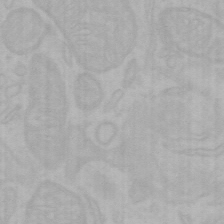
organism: Mouse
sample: Choroid plexus